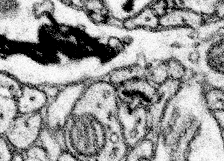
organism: Mouse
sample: Somatosensory cortex neuropil